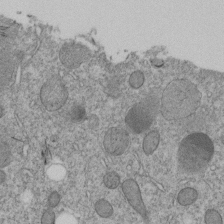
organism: C. elegans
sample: C. elegans embryo early stage